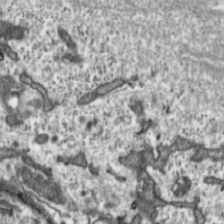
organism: Toxoplasma gondii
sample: Parasites in a vacuole inside a host cell